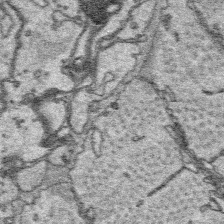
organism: Platynereis dumerilii